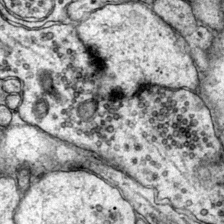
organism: Mouse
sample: Primary visual cortex